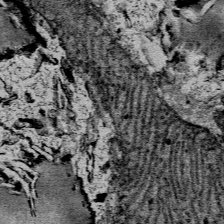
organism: Mouse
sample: Mouse Salivary gland